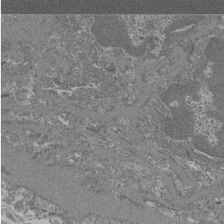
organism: Mouse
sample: Glomerulus